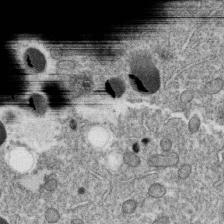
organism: C. elegans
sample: C. elegans oocyte; sperm cells